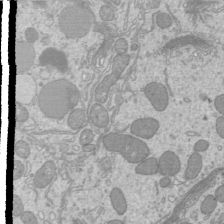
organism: Mouse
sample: Cilia; mouse epididymis